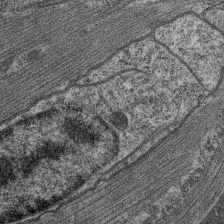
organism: C. elegans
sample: Pharynx